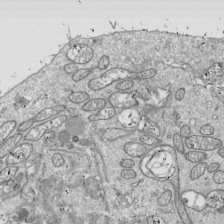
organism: Drosophila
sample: Cell division; meiosis; drosophila spermatocytes